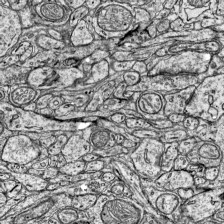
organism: Mouse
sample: Visual Cortex